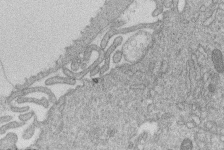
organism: Human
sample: Macrophage cells